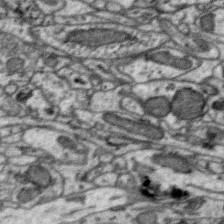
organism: Zebra finch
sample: Brain